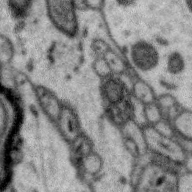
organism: Zebra finch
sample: Brain